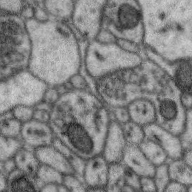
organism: Zebra finch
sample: Brain